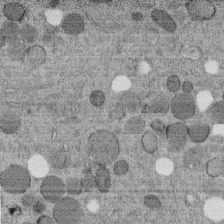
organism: C. elegans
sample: C. elegans embryo early stage